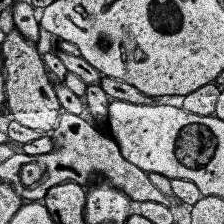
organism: Human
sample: Temporal Lobe